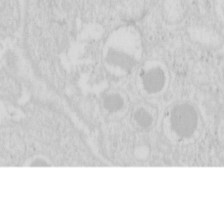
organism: Mouse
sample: Pancreas